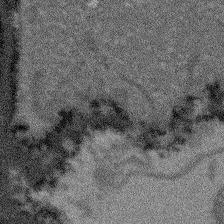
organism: Arabidopsis thaliana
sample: Root tip